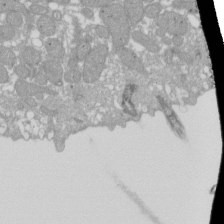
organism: Xenopus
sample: Cilia; centrioles in frog embryo cells